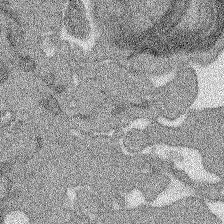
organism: Human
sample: HeLa cells